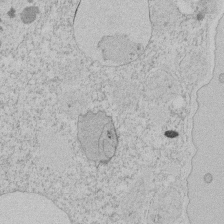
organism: Tetrahymena